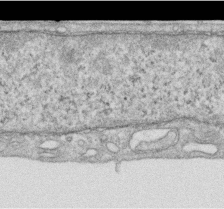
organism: Human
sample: Centriole in RPE cells